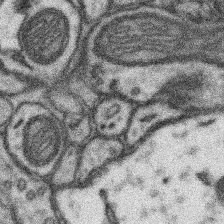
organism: Mouse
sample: Somatosensory cortex neuropil